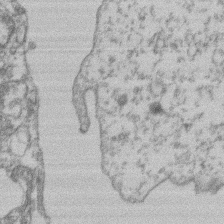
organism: Mouse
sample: T cell stromal cell synapse